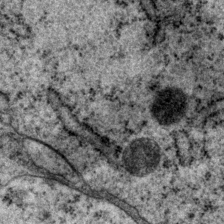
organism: P. pacificus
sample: Pharynx